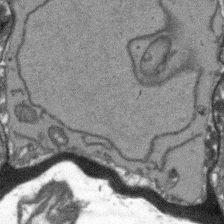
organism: Arabidopsis thaliana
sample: Root tip